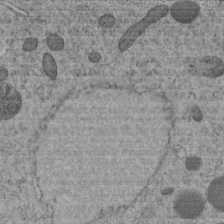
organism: C. elegans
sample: C. elegans embryo early stage